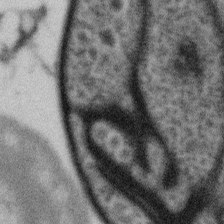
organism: Gemmata obscuriglobus